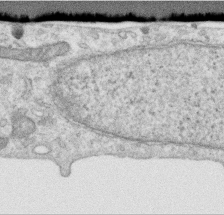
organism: Human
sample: Centriole in RPE cells